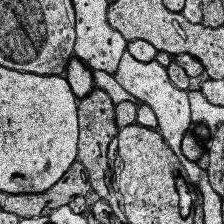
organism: Human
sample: Temporal Lobe